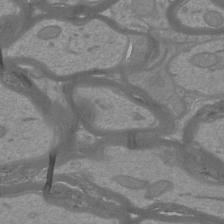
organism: Mouse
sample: Cortical neurons